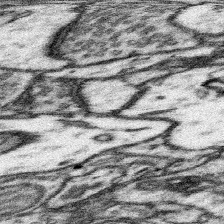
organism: Mouse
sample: Somatosensory cortex neuropil